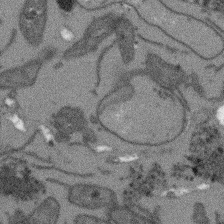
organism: Arabidopsis thaliana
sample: Root tip